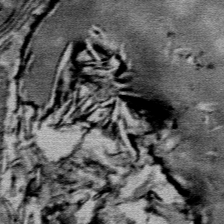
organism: Mouse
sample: Mouse Salivary gland